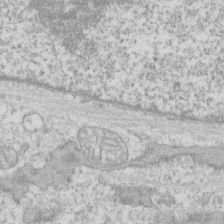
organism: Human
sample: CRL-1474